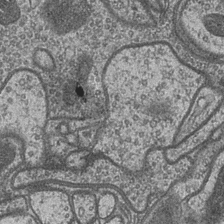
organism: Drosophila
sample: Optic medulla